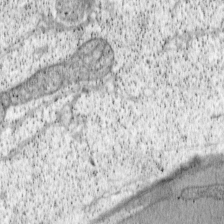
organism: African green monkey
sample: COS-7 cells